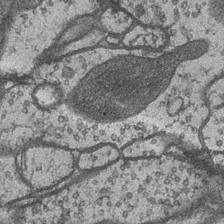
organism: Drosophila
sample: Optic medulla